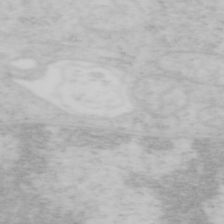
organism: Mouse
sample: OT-I killer T cells with ID8 ovarian cancer cells